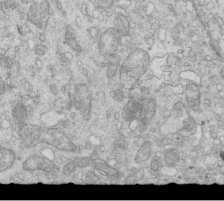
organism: Mouse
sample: Multiciliated cells